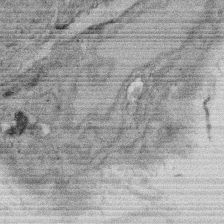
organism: Rat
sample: Salivary granule